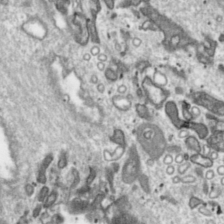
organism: Toxoplasma gondii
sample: Parasites in a vacuole inside a host cell